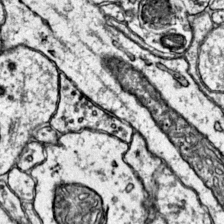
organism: Mouse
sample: Primary visual cortex